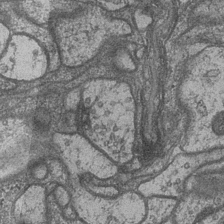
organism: Drosophila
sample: Optic medulla